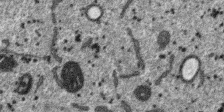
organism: Human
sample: Lung epithelial cells infected with SARS-CoV-2